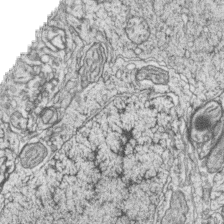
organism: Zebrafish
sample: synaptic ribbons in rod cells and cone cells